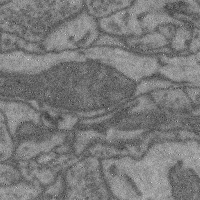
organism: Mouse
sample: Cerebral cortex